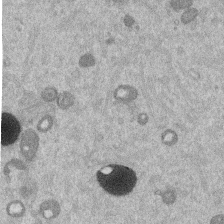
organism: Mouse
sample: Dividing mouse embryo 1 cell stage